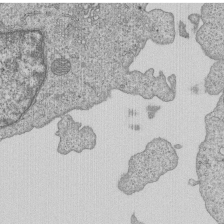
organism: Human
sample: MDA-MB-231 cells